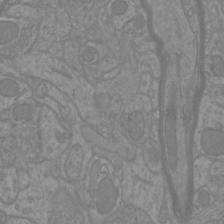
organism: Mouse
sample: Cortical neurons